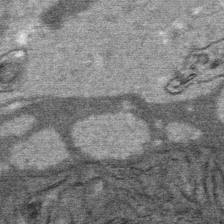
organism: Mouse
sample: Mouse Salivary gland